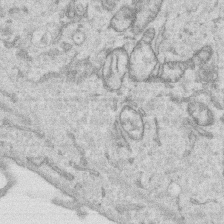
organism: Human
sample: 1205lu cells